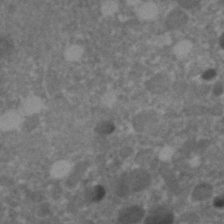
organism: C. elegans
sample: C. elegans embryo